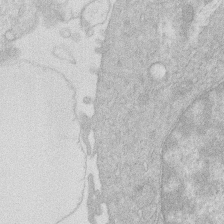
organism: Human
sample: Macrophage cells